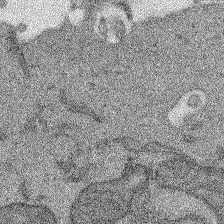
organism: Human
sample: HeLa cells